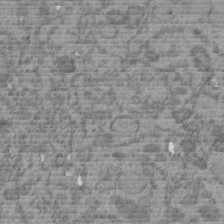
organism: C. elegans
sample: C. elegans embryo early stage